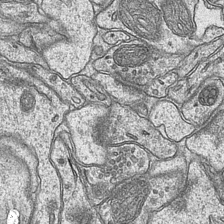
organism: Mouse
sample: CA1 Hippocampus